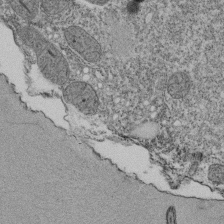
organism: Tetrahymena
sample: Cilia in tetrahymena